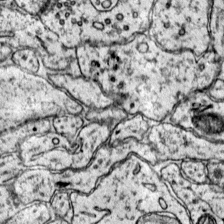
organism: Mouse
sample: Primary visual cortex